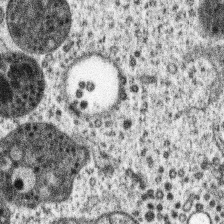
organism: Human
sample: HeLa cells